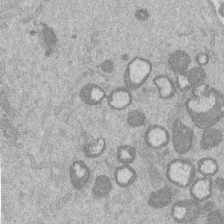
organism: Mouse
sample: Dividing mouse embryo 1 cell stage